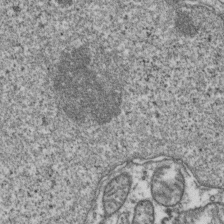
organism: Human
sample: Activated Jurkat CD4+ T cells